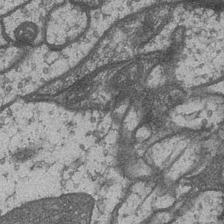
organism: Drosophila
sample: Optic medulla